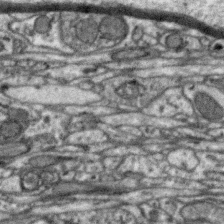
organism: Zebra finch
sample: Brain